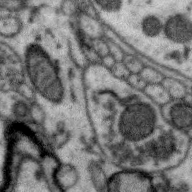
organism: Zebra finch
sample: Brain